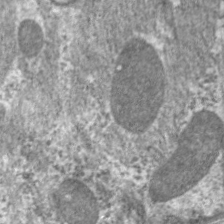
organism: C. elegans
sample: Pharynx